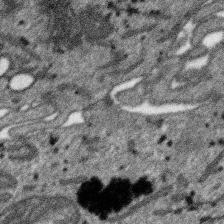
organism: Human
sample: Lung epithelial cells infected with SARS-CoV-2